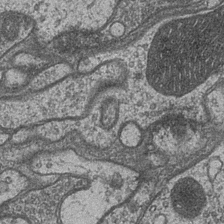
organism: Drosophila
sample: Optic medulla